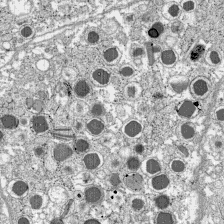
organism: C57BL Mouse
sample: Pancreatic islet